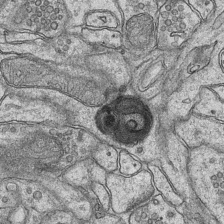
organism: Mouse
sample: CA1 Hippocampus